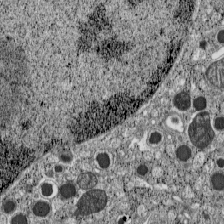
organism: C57BL Mouse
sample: Pancreatic islet